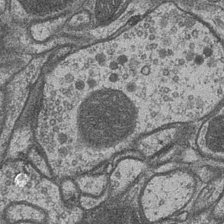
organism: Drosophila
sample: Optic medulla